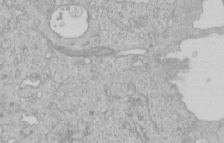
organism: Human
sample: Centriole in RPE cells